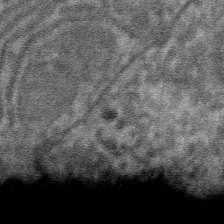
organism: Mouse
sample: Mouse hepatocytes